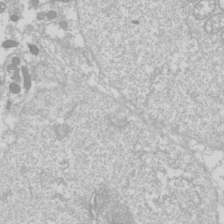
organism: Drosophila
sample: Cell division; meiosis; drosophila spermatocytes